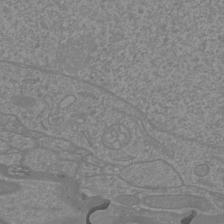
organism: Mouse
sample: Cortical neurons